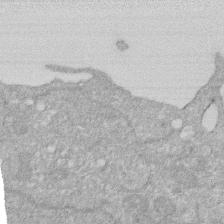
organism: Human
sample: HIV infected U937 cells